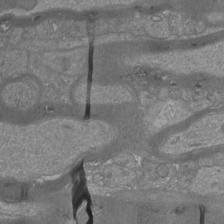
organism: Mouse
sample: Cortical neurons